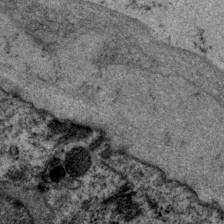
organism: P. pacificus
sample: Pharynx